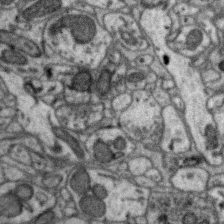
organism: Zebra finch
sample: Brain